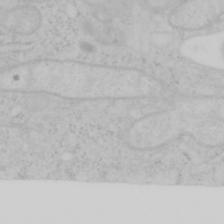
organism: Mouse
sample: OT-I killer T cells with ID8 ovarian cancer cells